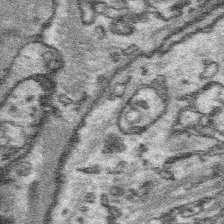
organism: Platynereis dumerilii